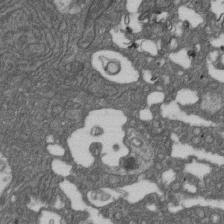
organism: Drosophila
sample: Nephrocyte